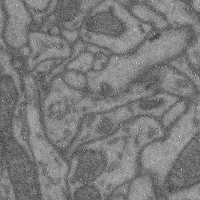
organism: Mouse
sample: Cerebral cortex